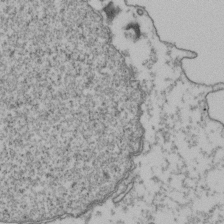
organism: Human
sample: Activated Jurkat CD4+ T cells